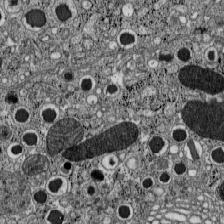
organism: C57BL Mouse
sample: Pancreatic islet